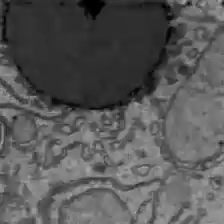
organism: C57BL Mouse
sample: Liver